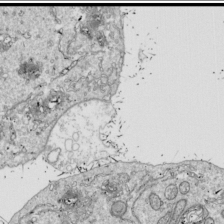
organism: Drosophila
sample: Cell division; meiosis; drosophila spermatocytes